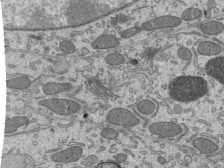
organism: Mouse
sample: Mouse epididymis efferent ductule cilia